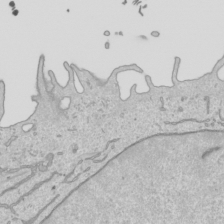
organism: Human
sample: Mitochondria in HCT116 cells